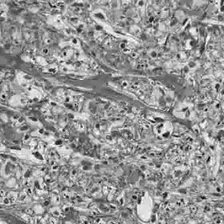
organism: Drosophila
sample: Optic lobe